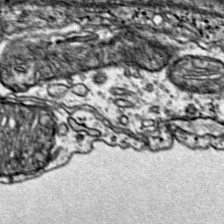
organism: Mouse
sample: Primary visual cortex